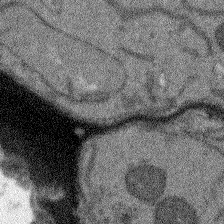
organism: Arabidopsis thaliana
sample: Root tip